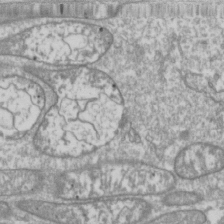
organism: Drosophila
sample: Cell division; meiosis; drosophila spermatocytes